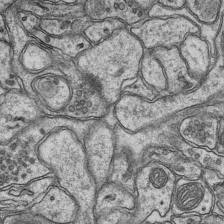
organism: Mouse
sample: CA1 Hippocampus